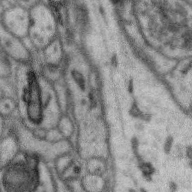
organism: Zebra finch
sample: Brain